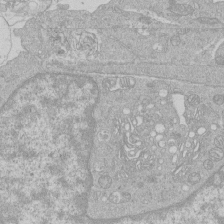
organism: Human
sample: Macrophage cells